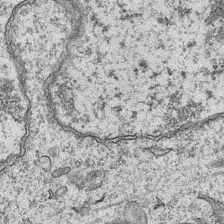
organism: Mouse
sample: CA1 Hippocampus